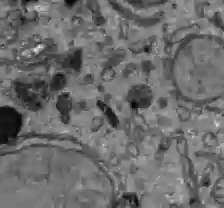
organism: C57BL Mouse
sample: Liver